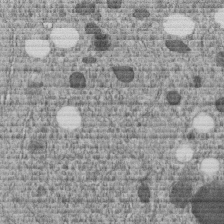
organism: C. elegans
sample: C. elegans embryo early stage